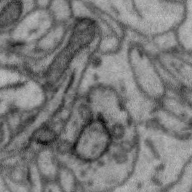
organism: Zebra finch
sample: Brain